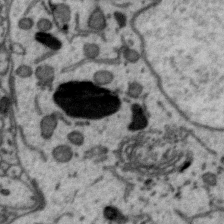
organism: Zebra finch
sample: Brain